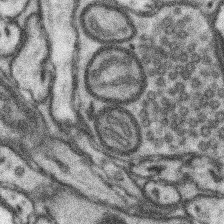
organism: Mouse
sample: Somatosensory cortex neuropil